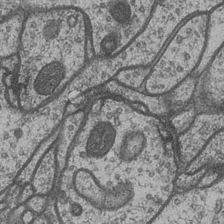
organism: Drosophila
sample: Optic medulla